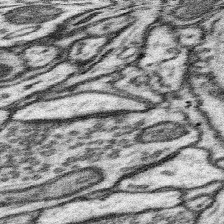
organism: Mouse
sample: Somatosensory cortex neuropil